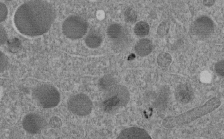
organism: C. elegans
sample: C. elegans embryo early stage